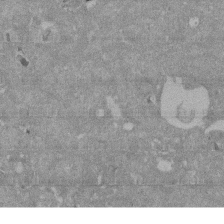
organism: Mouse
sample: ED-1 cell nuclei; centrioles